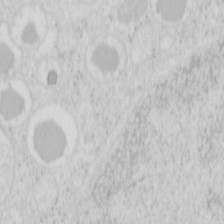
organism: Mouse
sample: Pancreas